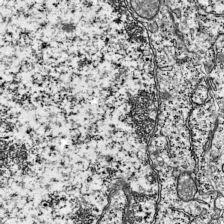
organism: Mouse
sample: Visual Cortex